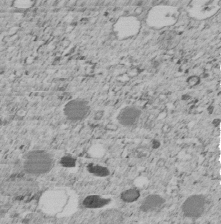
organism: C. elegans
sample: C. elegans embryo early stage